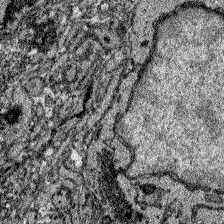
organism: Zebrafish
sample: Larval olfactory bulb